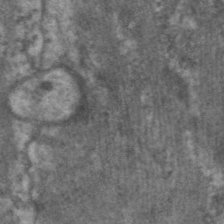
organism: C. elegans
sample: Pharynx